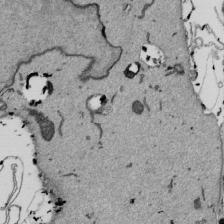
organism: Mouse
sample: ED-1 cell nuclei; centrioles